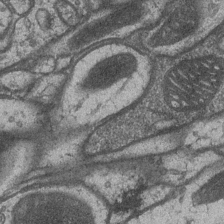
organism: Drosophila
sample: Optic medulla